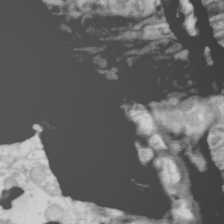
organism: Zebra finch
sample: Brain